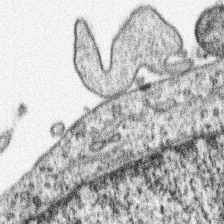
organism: Human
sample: HeLa cells